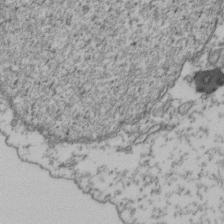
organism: Human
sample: Activated Jurkat CD4+ T cells